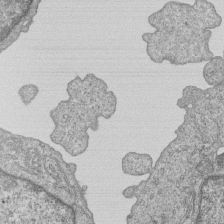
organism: Human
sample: MDA-MB-231 cells